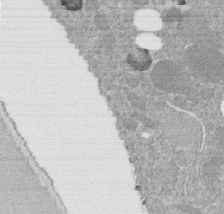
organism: C. elegans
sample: C. elegans embryo early stage